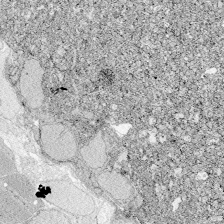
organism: Zebrafish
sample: Whole-Brain